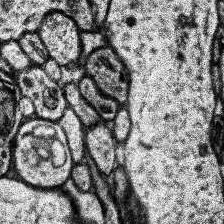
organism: Human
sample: Temporal Lobe